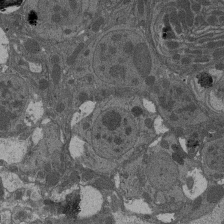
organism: Drosophila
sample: Antenna